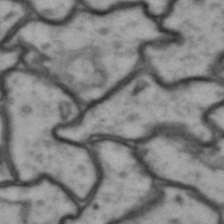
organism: Drosophila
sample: Brain